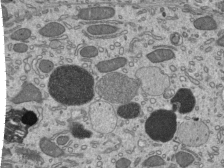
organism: Mouse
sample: Mouse epididymis efferent ductule cilia